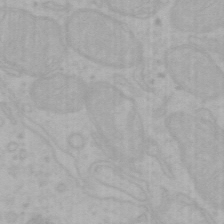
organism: Mouse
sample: Choroid plexus